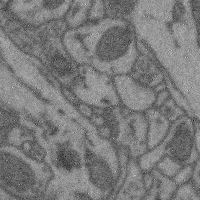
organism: Mouse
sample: Cerebral cortex